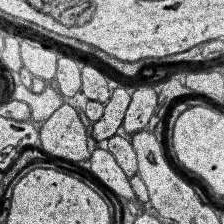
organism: Human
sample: Temporal Lobe